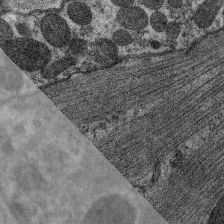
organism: C. elegans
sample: Pharynx